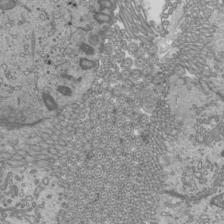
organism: Mouse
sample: Cilia; mouse epididymis